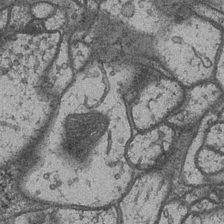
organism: Drosophila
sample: Optic medulla